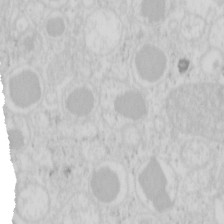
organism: Mouse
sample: Pancreas